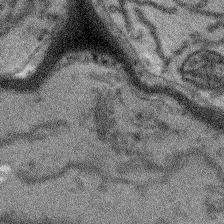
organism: Arabidopsis thaliana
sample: Root tip